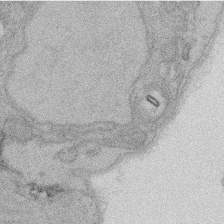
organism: Rat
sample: Salivary granule